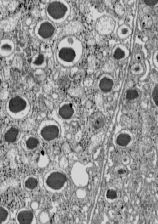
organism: C57BL Mouse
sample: Pancreatic islet